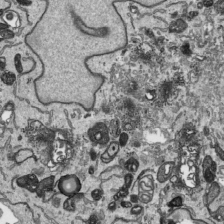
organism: Human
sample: Mitochondria in HCT116 cells